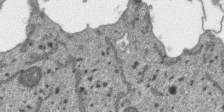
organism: Human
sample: Lung epithelial cells infected with SARS-CoV-2